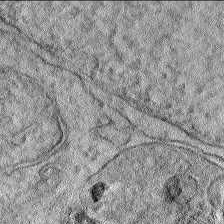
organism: Human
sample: HeLa cells